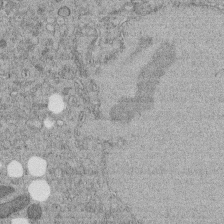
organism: C. elegans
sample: C. elegans embryo early stage